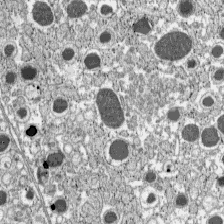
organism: C57BL Mouse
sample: Pancreatic islet